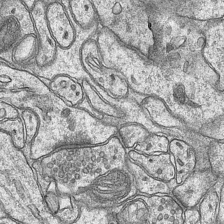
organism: Mouse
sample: CA1 Hippocampus